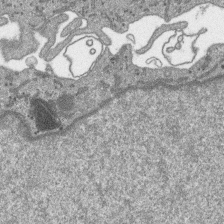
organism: Human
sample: Lung epithelial cells infected with SARS-CoV-2